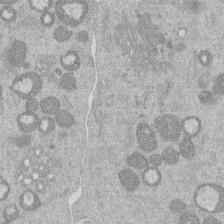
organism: Mouse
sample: Dividing mouse embryo 1 cell stage